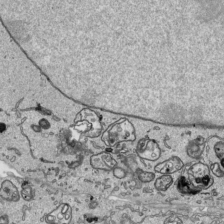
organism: Human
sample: Mitochondria in HCT116 cells